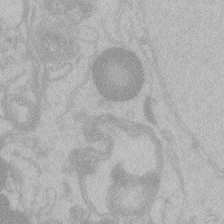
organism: Zebrafish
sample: Macrophage infected with Toxoplasma gondii